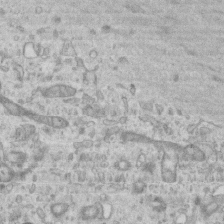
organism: Mouse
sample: Centriole in ependymal cells